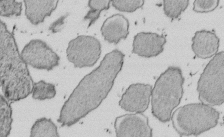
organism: E. coli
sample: Bacterial nucleoid